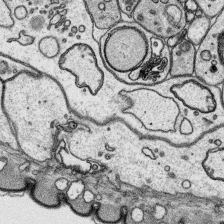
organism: Platynereis dumerilii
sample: Parapodia